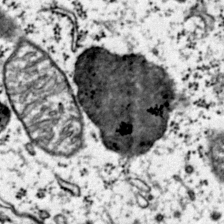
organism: Mouse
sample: Primary visual cortex